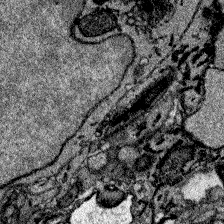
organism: Zebrafish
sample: Larval olfactory bulb